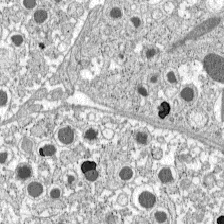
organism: C57BL Mouse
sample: Pancreatic islet